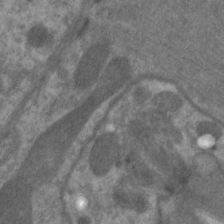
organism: C. elegans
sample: Pharynx